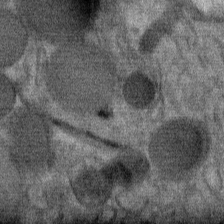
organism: Mouse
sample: Mouse Salivary gland